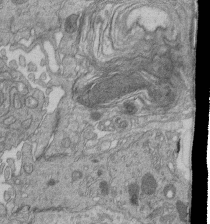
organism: Human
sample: Retinal organoid Rod and Cone cells